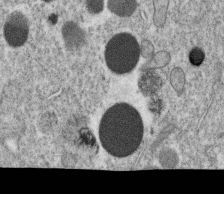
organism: C. elegans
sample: C. elegans oocyte; sperm cells